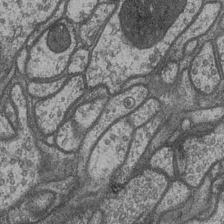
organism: Drosophila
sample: Optic medulla